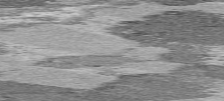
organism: C57BL Mouse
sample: Heart